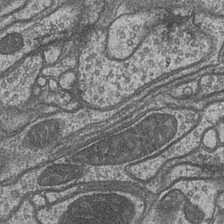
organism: Drosophila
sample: Optic medulla